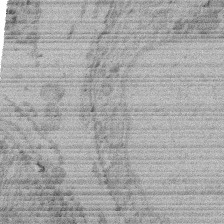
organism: Rat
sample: Salivary granule